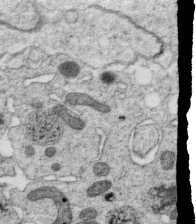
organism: C. elegans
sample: C. elegans oocyte; sperm cells